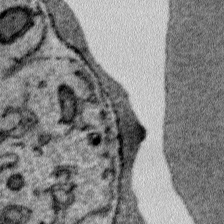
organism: Plasmodium falciparum